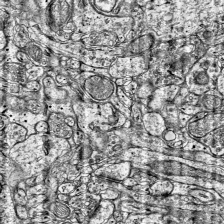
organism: Mouse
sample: Visual Cortex